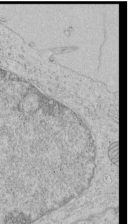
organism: Human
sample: Mitochondria in HCT116 cells